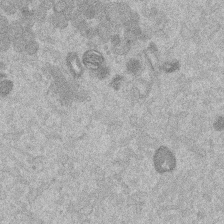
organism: Mouse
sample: Dividing mouse embryo 1 cell stage